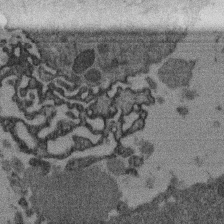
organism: Mouse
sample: Dividing mouse embryo 1 cell stage